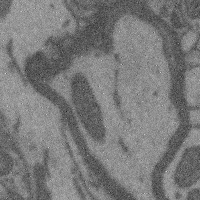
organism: Mouse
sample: Cerebral cortex